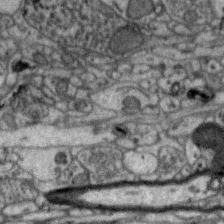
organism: Zebra finch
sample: Brain